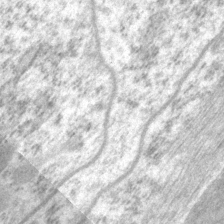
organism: P. pacificus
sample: Pharynx